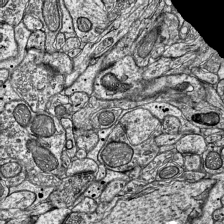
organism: Mouse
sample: Visual Cortex